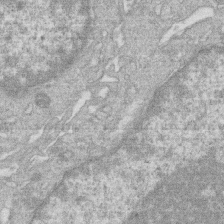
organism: Human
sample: Macrophage cells